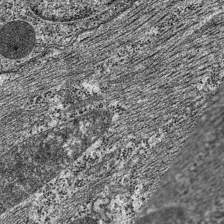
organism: C. elegans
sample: Pharynx